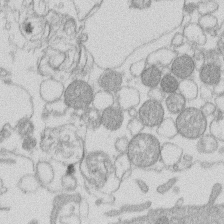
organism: Human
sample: Macrophage cells